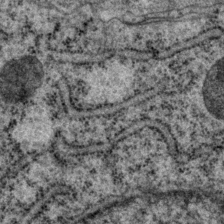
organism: P. pacificus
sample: Pharynx